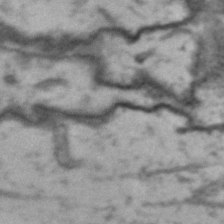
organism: Drosophila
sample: Brain